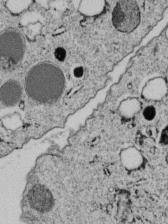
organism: C. elegans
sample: C. elegans embryo early stage